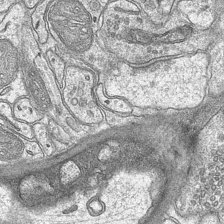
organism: Mouse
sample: CA1 Hippocampus